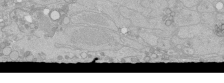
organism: Human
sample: Caco-2 cells